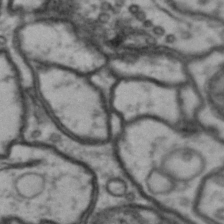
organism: Drosophila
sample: Brain